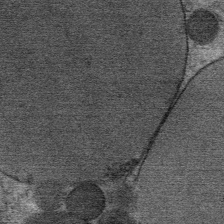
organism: Mouse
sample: Mouse Salivary gland